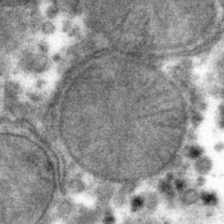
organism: Mouse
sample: Mouse hepatocytes